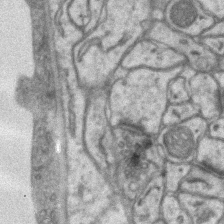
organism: Mouse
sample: CA1 Hippocampus